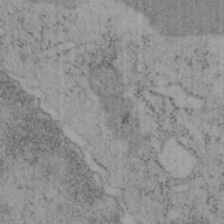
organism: Mouse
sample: OT-I killer T cells with ID8 ovarian cancer cells